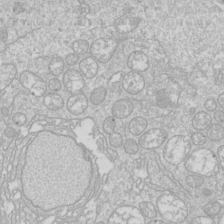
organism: Drosophila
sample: Cell division; meiosis; drosophila spermatocytes